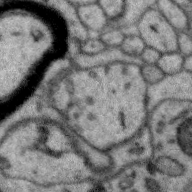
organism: Zebra finch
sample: Brain